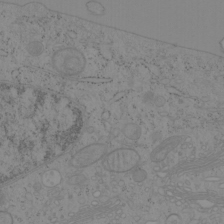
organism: Human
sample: HeLa cells